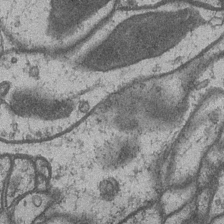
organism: Drosophila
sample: Optic medulla